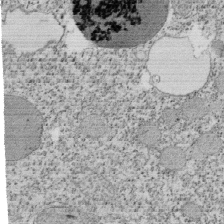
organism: Tetrahymena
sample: Cilia in tetrahymena